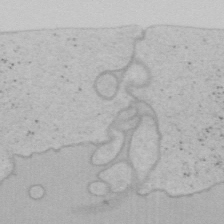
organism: Human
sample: HeLa cells